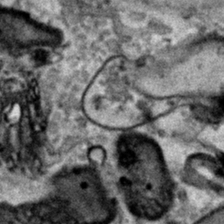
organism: Human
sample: Mitochondria in HCT116 cells